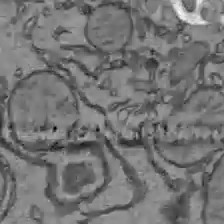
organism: C57BL Mouse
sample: Liver